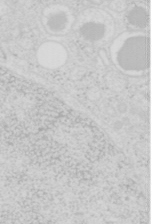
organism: Mouse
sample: Pancreas